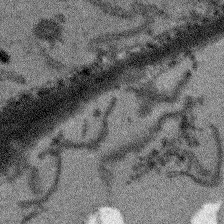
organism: Arabidopsis thaliana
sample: Root tip